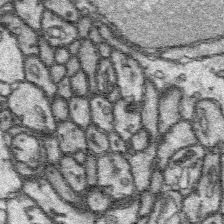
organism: Platynereis dumerilii